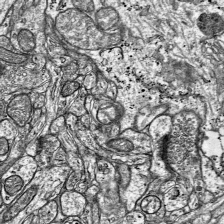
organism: Mouse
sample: Visual Cortex